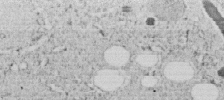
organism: C. elegans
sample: C. elegans embryo early stage